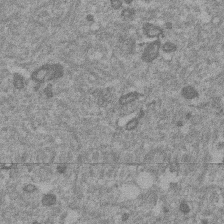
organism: Mouse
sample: Dividing mouse embryo 1 cell stage